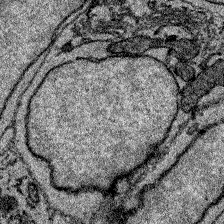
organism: Zebrafish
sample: Larval olfactory bulb